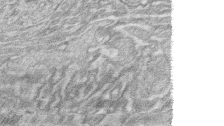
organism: Zebrafish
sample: synaptic ribbons in rod cells and cone cells